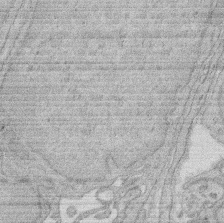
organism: Rat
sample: Salivary granule